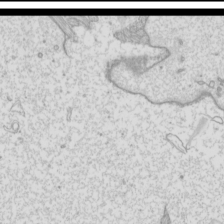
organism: Mouse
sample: Cilia; mouse epididymis